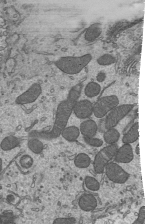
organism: Mouse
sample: Mouse epididymis efferent ductule cilia